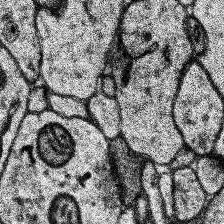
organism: Human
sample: Temporal Lobe